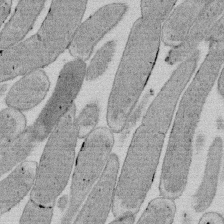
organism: E. coli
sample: Bacterial nucleoid